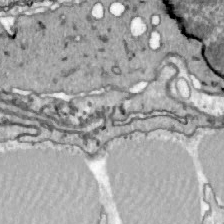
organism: Zebrafish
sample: Actinotrichia fibers